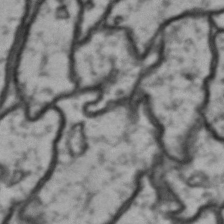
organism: Drosophila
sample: Brain